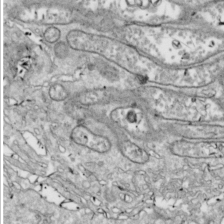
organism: Drosophila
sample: Cell division; meiosis; drosophila spermatocytes